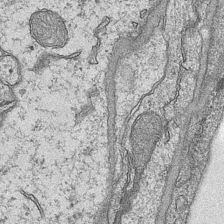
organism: Mouse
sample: CA1 Hippocampus